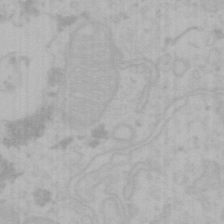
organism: Mouse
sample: Choroid plexus